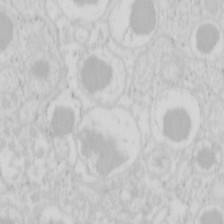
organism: Mouse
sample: Pancreas